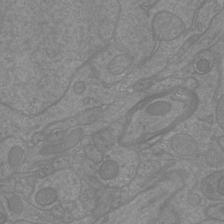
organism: Mouse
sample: Cortical neurons